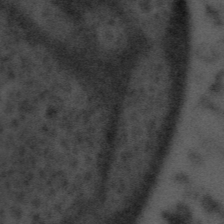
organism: Tuwongella immobilis